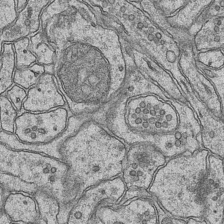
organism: Mouse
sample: CA1 Hippocampus